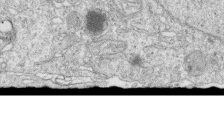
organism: Human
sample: HeLa cell HIV synapse